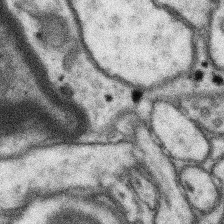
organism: Mouse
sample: Somatosensory cortex neuropil